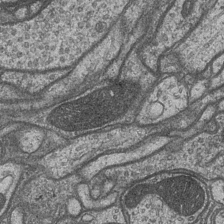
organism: Drosophila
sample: Optic medulla